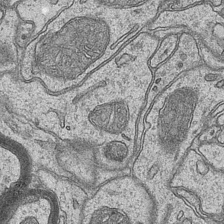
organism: Mouse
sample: CA1 Hippocampus